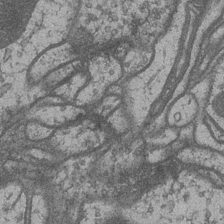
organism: Drosophila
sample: Optic medulla